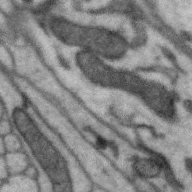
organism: Zebra finch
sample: Brain